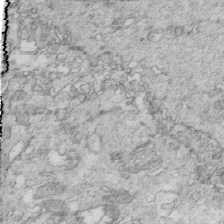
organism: Mouse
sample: Multiciliated cells